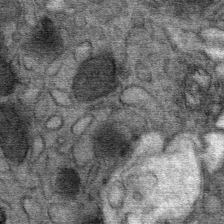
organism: Mouse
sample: Mouse Salivary gland